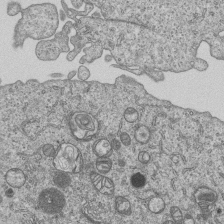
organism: Human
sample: MDA-MB-231 cells